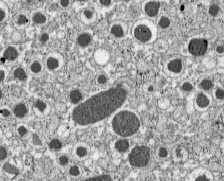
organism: C57BL Mouse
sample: Pancreatic islet